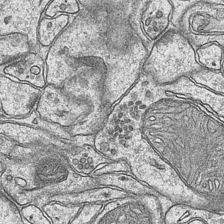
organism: Mouse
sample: CA1 Hippocampus